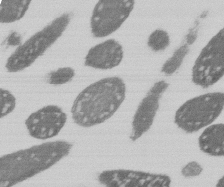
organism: E. coli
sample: Bacterial nucleoid